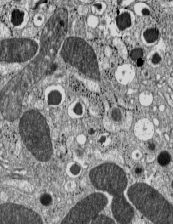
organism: C57BL Mouse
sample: Pancreatic islet